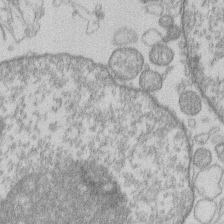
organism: Human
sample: Macrophage cells